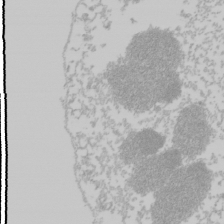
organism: Mouse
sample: Cancer cell death in ED-1 cells